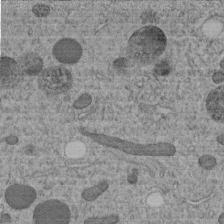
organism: C. elegans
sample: C. elegans embryo early stage